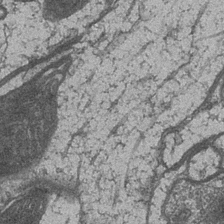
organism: Drosophila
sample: Optic medulla